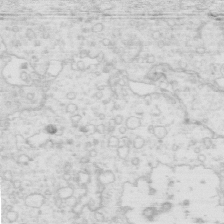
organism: Mouse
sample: Multiciliated cells